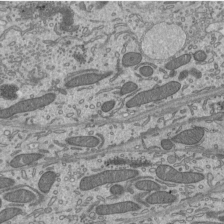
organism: Mouse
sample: Mouse epididymis efferent ductule cilia